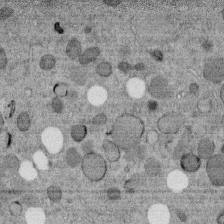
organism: C. elegans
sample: C. elegans embryo early stage